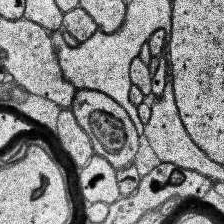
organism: Human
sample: Temporal Lobe